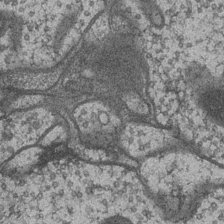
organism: Drosophila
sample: Optic medulla